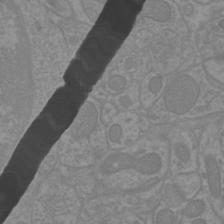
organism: Mouse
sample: Cortical neurons